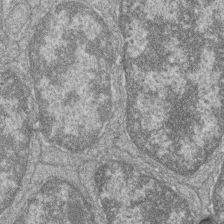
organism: Zebrafish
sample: Cilia; retinal pigment epithelium